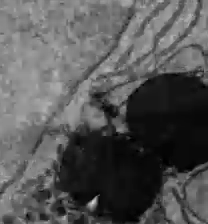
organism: C57BL Mouse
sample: Liver